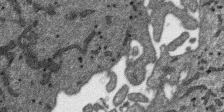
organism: Human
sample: Lung epithelial cells infected with SARS-CoV-2